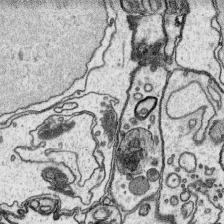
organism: Platynereis dumerilii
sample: Parapodia